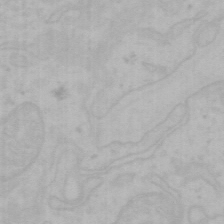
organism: Mouse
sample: Choroid plexus